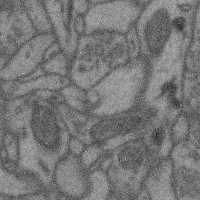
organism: Mouse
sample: Cerebral cortex